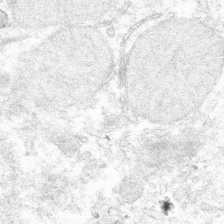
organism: Mouse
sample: Mouse hepatocytes